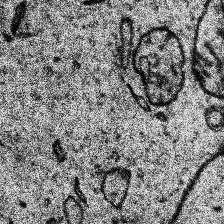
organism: Human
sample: Temporal Lobe